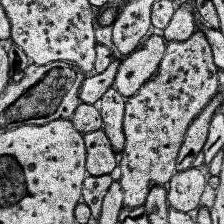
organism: Human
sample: Temporal Lobe